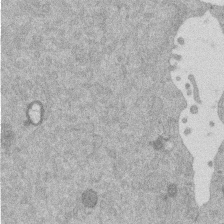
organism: Mouse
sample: Dividing mouse embryo 1 cell stage